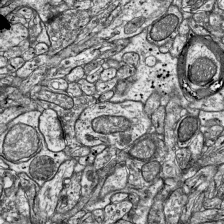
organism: Mouse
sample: Visual Cortex